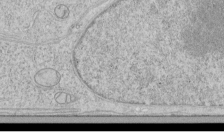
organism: Human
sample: Mitochondria in HCT116 cells